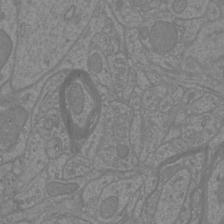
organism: Mouse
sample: Cortical neurons